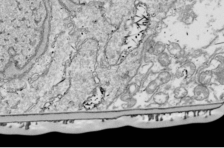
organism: Drosophila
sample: Cell division; meiosis; drosophila spermatocytes